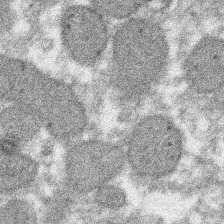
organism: Xenopus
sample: Cilia; centrioles in frog embryo cells